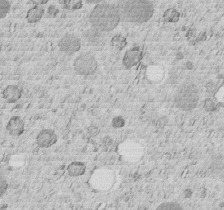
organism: C. elegans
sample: C. elegans embryo early stage